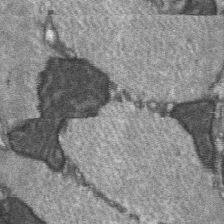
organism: C57BL Mouse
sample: Soleus